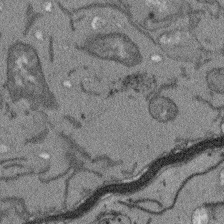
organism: Arabidopsis thaliana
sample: Root tip